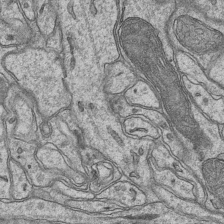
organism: Mouse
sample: CA1 Hippocampus